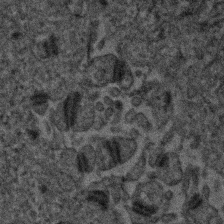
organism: Human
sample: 1205lu cells